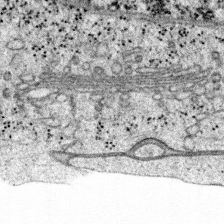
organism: Human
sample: HeLa cells